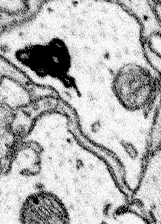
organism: Mouse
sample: Somatosensory cortex neuropil